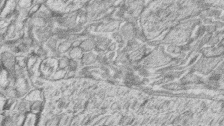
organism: Zebrafish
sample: synaptic ribbons in rod cells and cone cells